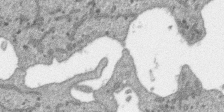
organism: Human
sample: Lung epithelial cells infected with SARS-CoV-2